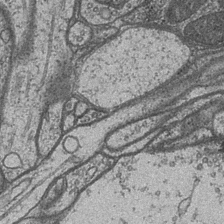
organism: Drosophila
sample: Optic medulla